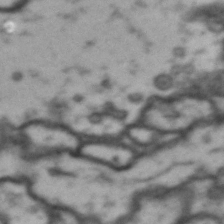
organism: Drosophila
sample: Brain